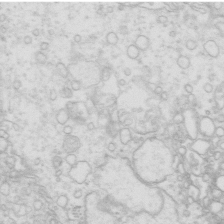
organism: Mouse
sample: Multiciliated cells